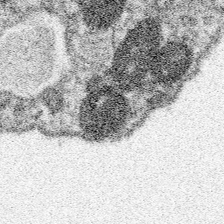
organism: Spongilla lacustris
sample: Neuroid cell